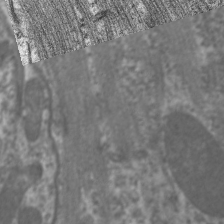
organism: C. elegans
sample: Pharynx